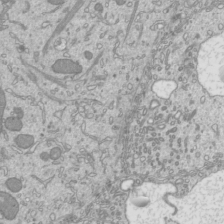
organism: Mouse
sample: Cilia; mouse epididymis